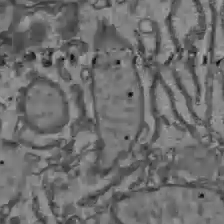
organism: C57BL Mouse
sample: Liver